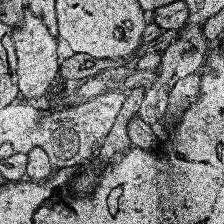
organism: Human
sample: Temporal Lobe